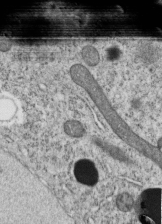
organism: C. elegans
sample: C. elegans embryo early stage